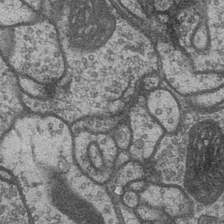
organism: Drosophila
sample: Optic medulla